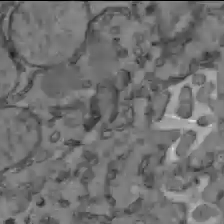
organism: C57BL Mouse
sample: Liver